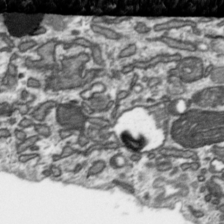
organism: Toxoplasma gondii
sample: Parasites in a vacuole inside a host cell